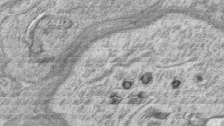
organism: Zebrafish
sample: synaptic ribbons in rod cells and cone cells